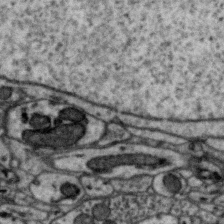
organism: Zebra finch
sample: Brain